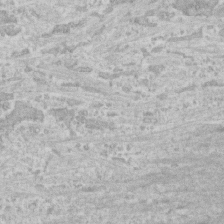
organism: Human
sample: CRL-1474